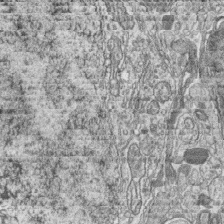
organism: Zebrafish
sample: synaptic ribbons in rod cells and cone cells